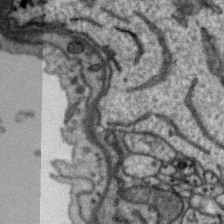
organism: Zebra finch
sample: Brain